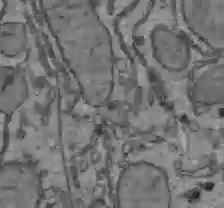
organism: C57BL Mouse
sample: Liver